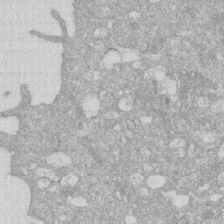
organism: Human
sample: HIV infected U937 cells